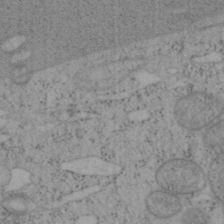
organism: Mouse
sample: OT-I killer T cells with ID8 ovarian cancer cells